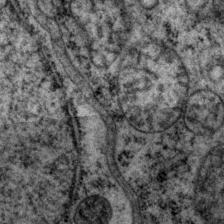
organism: P. pacificus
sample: Pharynx